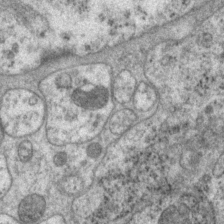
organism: P. pacificus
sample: Pharynx